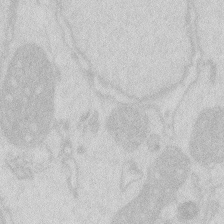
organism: Zebrafish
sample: Macrophage